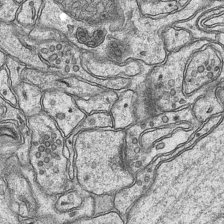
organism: Mouse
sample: CA1 Hippocampus